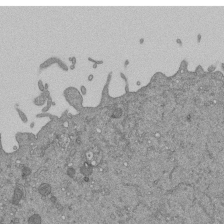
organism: Mouse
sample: ED-1 cell nuclei; centrioles